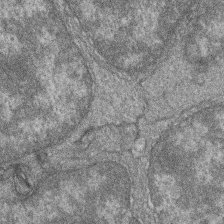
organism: Zebrafish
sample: Cilia; retinal pigment epithelium